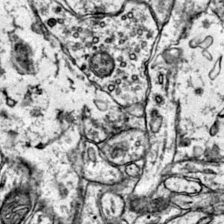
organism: Mouse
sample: Primary visual cortex